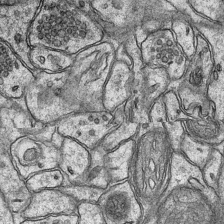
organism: Mouse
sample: CA1 Hippocampus